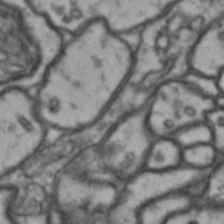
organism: Drosophila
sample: Brain